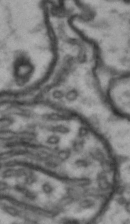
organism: Drosophila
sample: Brain